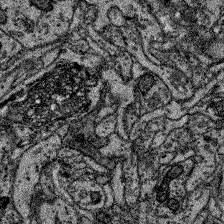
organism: Zebrafish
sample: Larval olfactory bulb